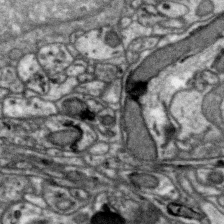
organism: Zebra finch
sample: Brain